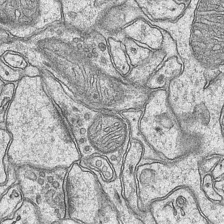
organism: Mouse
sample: CA1 Hippocampus